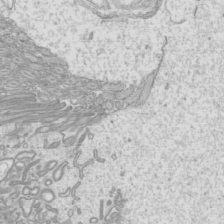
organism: Mouse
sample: Cilia; mouse epididymis